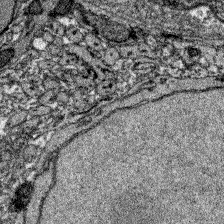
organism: Zebrafish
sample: Larval olfactory bulb